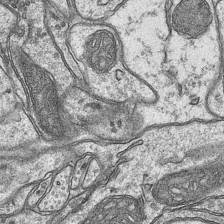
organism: Mouse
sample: CA1 Hippocampus